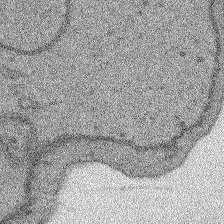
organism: Human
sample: HeLa cells